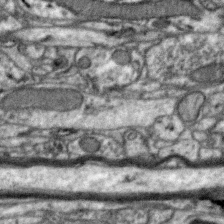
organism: Zebra finch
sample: Brain